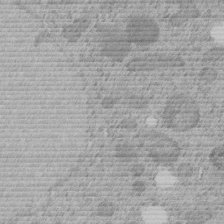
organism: C. elegans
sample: C. elegans embryo early stage